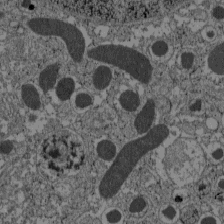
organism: C57BL Mouse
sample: Pancreatic islet